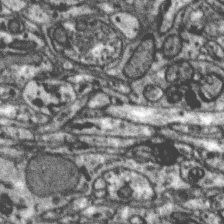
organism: Zebra finch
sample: Brain